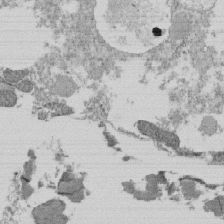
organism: Tetrahymena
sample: Cilia in tetrahymena